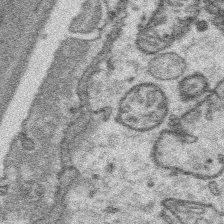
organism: Platynereis dumerilii